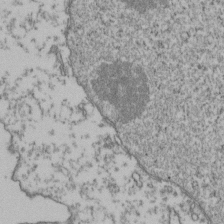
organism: Human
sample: Activated Jurkat CD4+ T cells